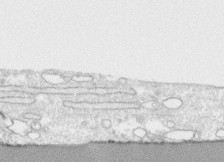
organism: Human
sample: CRL-1474